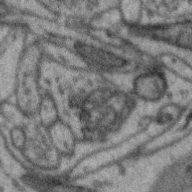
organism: Zebra finch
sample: Brain